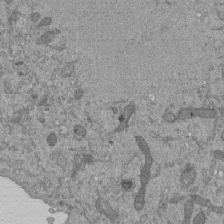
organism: Mouse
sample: ED-1 cell nuclei; centrioles